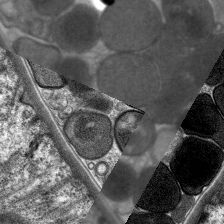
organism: C. elegans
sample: Pharynx